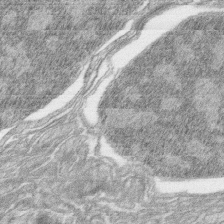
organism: Zebrafish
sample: synaptic ribbons in rod cells and cone cells